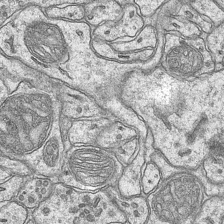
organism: Mouse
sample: CA1 Hippocampus